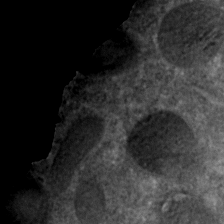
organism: C. elegans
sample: C. elegans embryo